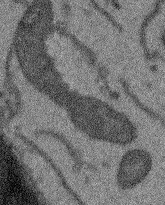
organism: Arabidopsis thaliana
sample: Root tip